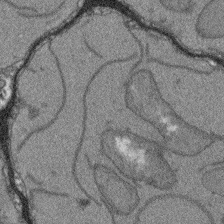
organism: Arabidopsis thaliana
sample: Root tip